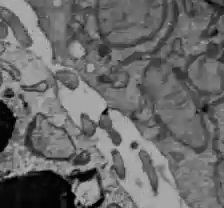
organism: C57BL Mouse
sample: Liver